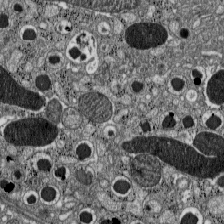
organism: C57BL Mouse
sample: Pancreatic islet